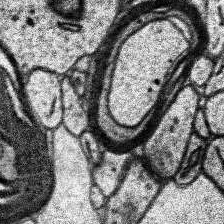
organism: Human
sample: Temporal Lobe